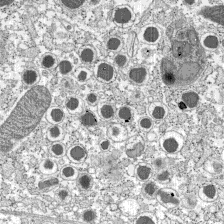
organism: C57BL Mouse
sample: Pancreatic islet